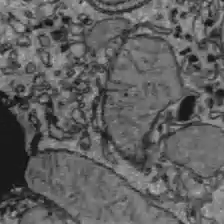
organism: C57BL Mouse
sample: Liver